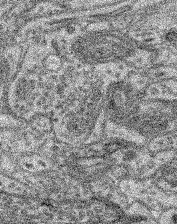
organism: Mouse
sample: Retina